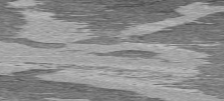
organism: C57BL Mouse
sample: Heart